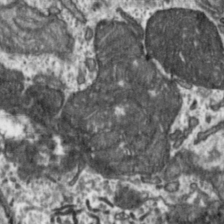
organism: Toxoplasma gondii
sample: Parasites in a vacuole inside a host cell